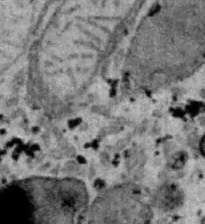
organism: Mouse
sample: Liver from an obese (ob/ob) mouse